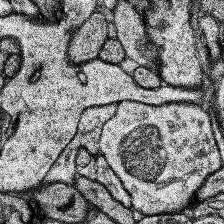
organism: Human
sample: Temporal Lobe